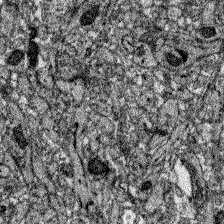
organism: Zebrafish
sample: Larval olfactory bulb